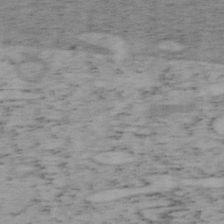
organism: Mouse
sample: OT-I killer T cells with ID8 ovarian cancer cells